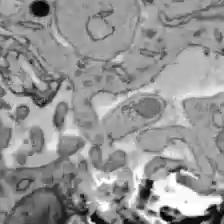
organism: C57BL Mouse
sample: Liver